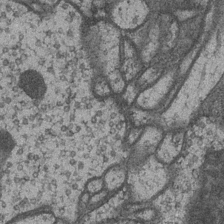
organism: Drosophila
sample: Optic medulla